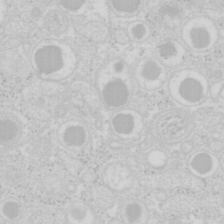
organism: Mouse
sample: Pancreas